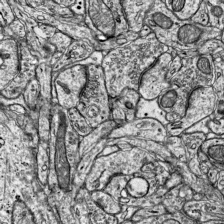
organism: Mouse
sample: Visual Cortex